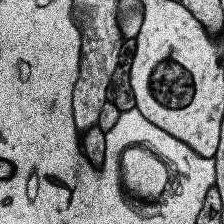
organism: Human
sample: Temporal Lobe